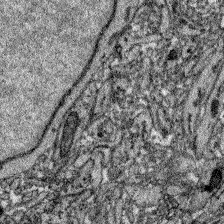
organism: Zebrafish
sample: Larval olfactory bulb